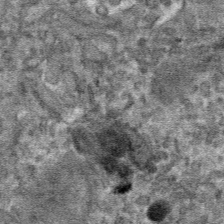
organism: Mouse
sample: Mouse hepatocytes